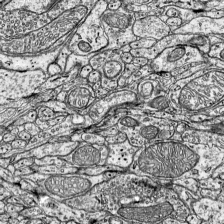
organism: Mouse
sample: Visual Cortex